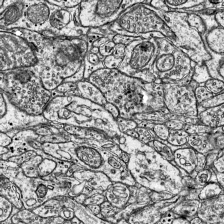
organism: Mouse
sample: Visual Cortex